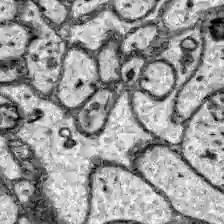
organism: Zebrafish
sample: Brain